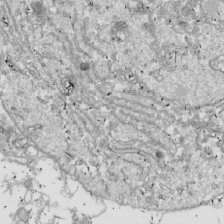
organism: Drosophila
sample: Cell division; meiosis; drosophila spermatocytes